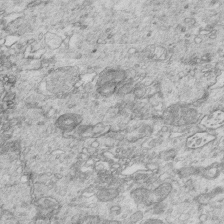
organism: Mouse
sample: Multiciliated cells